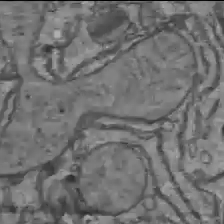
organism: C57BL Mouse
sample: Liver